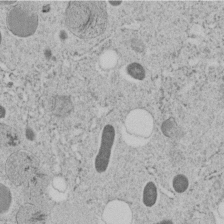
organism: C. elegans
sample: C. elegans embryo early stage